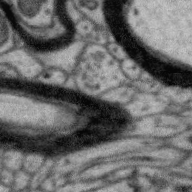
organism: Zebra finch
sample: Brain